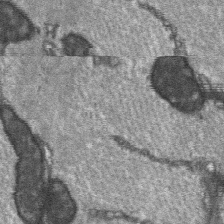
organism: C57BL Mouse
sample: Soleus